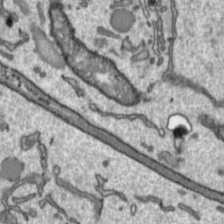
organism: Toxoplasma gondii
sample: Parasites in a vacuole inside a host cell